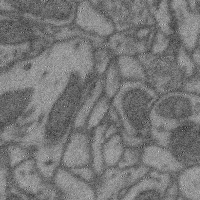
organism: Mouse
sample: Cerebral cortex